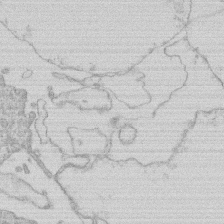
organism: Human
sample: Macrophage cells